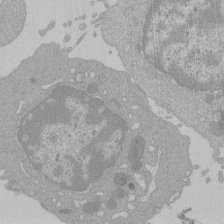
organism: Mouse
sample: Activated Pmel transgenic CD8+ T Cells